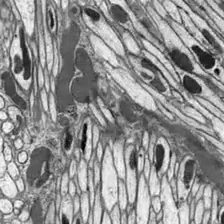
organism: Drosophila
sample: Optic lobe